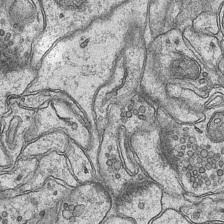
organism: Mouse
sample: CA1 Hippocampus